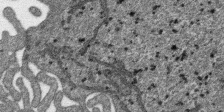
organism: Human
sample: Lung epithelial cells infected with SARS-CoV-2